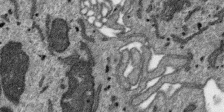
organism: Human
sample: Lung epithelial cells, uninfected (mock) control